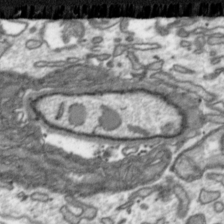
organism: Toxoplasma gondii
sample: Parasites in a vacuole inside a host cell